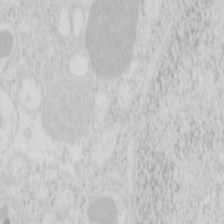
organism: Mouse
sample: Pancreas